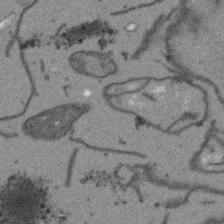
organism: Arabidopsis thaliana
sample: Root tip